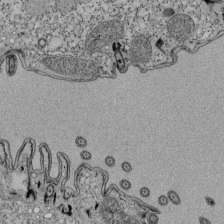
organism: Tetrahymena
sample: Cilia in tetrahymena